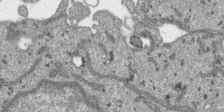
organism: Human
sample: Lung epithelial cells infected with SARS-CoV-2